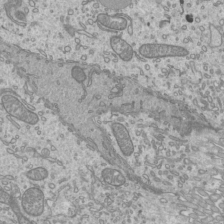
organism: Mouse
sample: Cilia; mouse epididymis